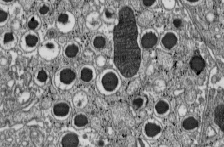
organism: C57BL Mouse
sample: Pancreatic islet